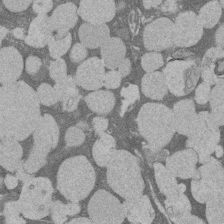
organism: Rat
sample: Salivary granule